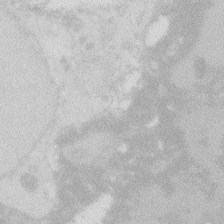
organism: Zebrafish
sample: Macrophage